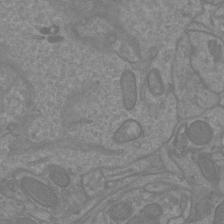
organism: Mouse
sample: Cortical neurons